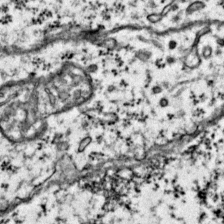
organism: Mouse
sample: Primary visual cortex